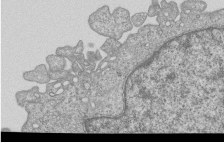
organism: Human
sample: MDA-MB-231 cells